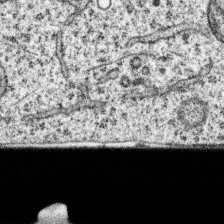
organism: Human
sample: HeLa cells